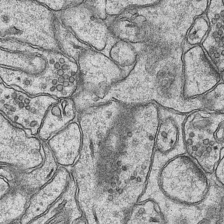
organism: Mouse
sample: CA1 Hippocampus